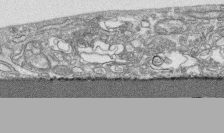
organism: Human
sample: CRL-1474